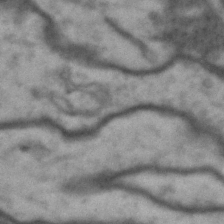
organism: Drosophila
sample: Brain